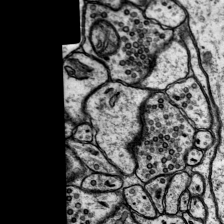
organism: Rat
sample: Hippocampus